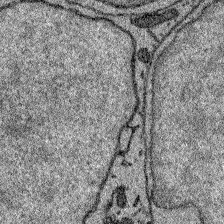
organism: Zebrafish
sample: Larval olfactory bulb